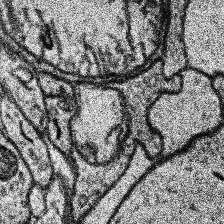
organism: Human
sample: Temporal Lobe